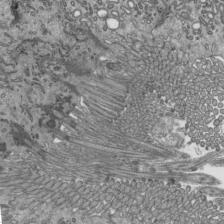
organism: Mouse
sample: Mouse epididymis efferent ductule cilia